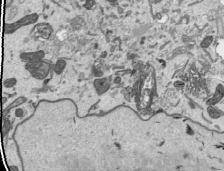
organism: Human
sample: Mitochondria in HCT116 cells